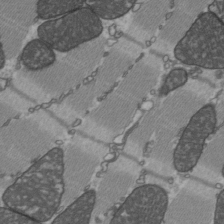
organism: C57BL Mouse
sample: Heart